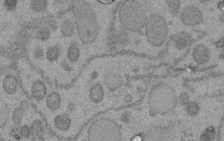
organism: C. elegans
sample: C. elegans embryo early stage